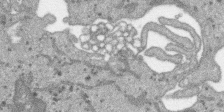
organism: Human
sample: Lung epithelial cells infected with SARS-CoV-2